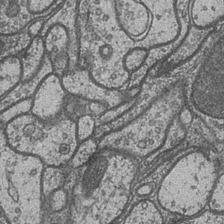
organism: Drosophila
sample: Optic medulla